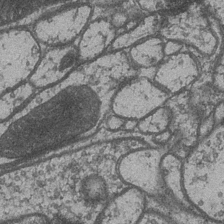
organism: Drosophila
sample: Optic medulla